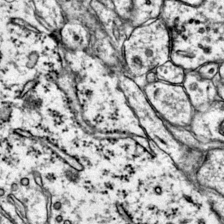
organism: Mouse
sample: Primary visual cortex